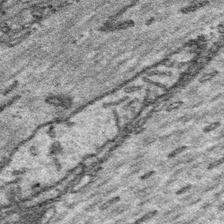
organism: Platynereis dumerilii